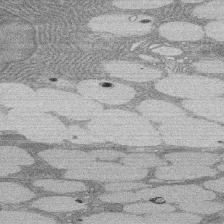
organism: Rat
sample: Salivary granule